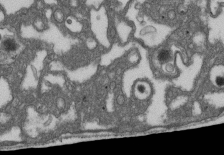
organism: Drosophila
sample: Nephrocyte